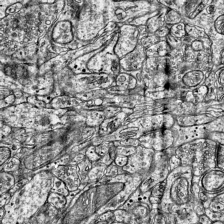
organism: Mouse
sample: Visual Cortex